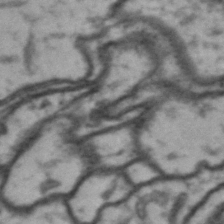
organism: Drosophila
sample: Brain